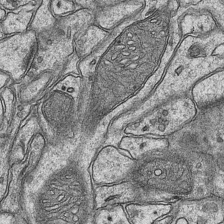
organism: Mouse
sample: CA1 Hippocampus